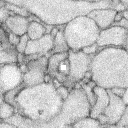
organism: Rabbit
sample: Retina